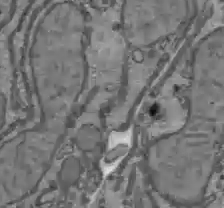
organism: C57BL Mouse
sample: Liver